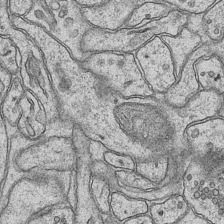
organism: Mouse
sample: CA1 Hippocampus